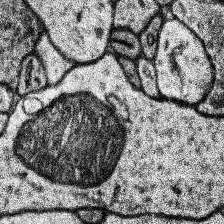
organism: Human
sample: Temporal Lobe